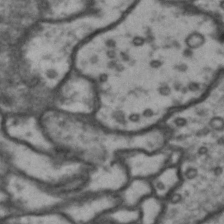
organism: Drosophila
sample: Brain